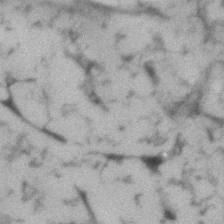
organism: Human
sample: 1205lu cells